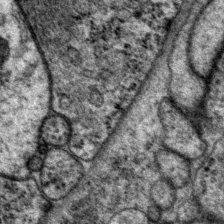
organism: P. pacificus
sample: Pharynx